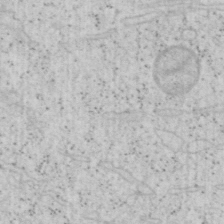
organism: Human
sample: HeLa cells